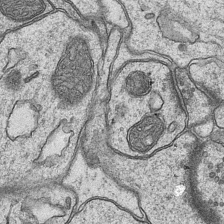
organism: Mouse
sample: CA1 Hippocampus